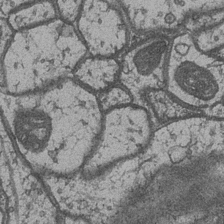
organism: Drosophila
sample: Optic medulla